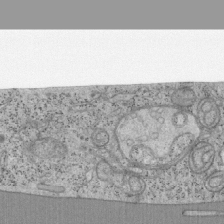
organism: Human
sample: HeLa cells